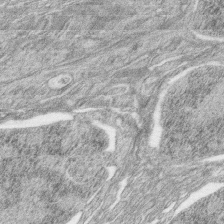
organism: Zebrafish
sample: synaptic ribbons in rod cells and cone cells